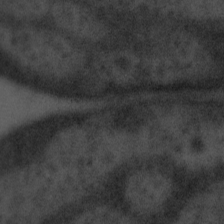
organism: Tuwongella immobilis